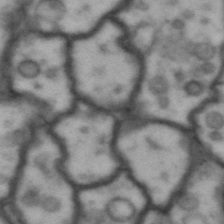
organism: Drosophila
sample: Brain